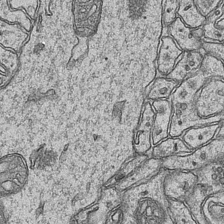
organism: Mouse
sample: CA1 Hippocampus